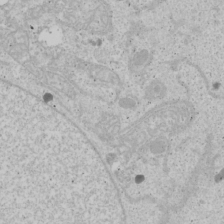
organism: Human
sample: Mitochondria in U2OS cells